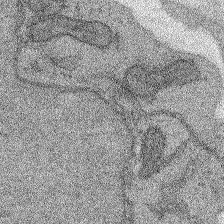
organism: Human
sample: HeLa cells